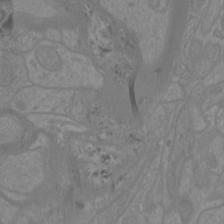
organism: Mouse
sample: Cortical neurons